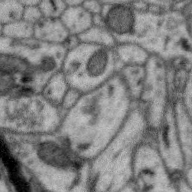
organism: Zebra finch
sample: Brain